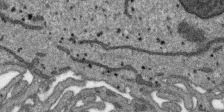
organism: Human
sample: Lung epithelial cells, uninfected (mock) control